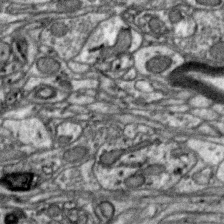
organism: Zebra finch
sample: Brain